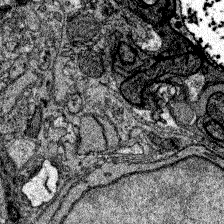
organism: Zebrafish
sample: Larval olfactory bulb